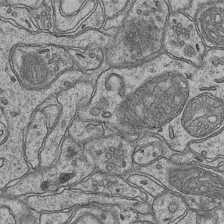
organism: Mouse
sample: CA1 Hippocampus